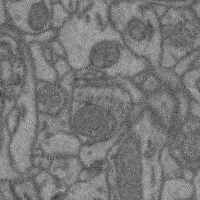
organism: Mouse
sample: Cerebral cortex